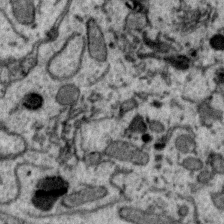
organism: Zebra finch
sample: Brain